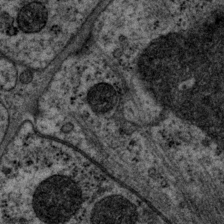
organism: P. pacificus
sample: Pharynx